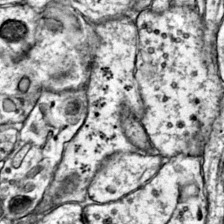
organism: Mouse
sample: Primary visual cortex